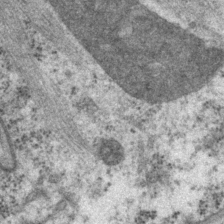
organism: P. pacificus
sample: Pharynx